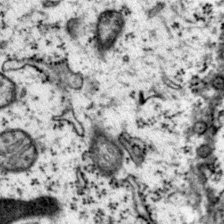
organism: Mouse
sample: Primary visual cortex